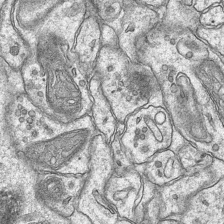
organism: Mouse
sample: CA1 Hippocampus